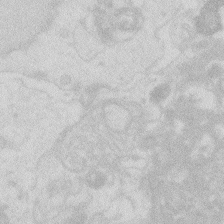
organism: Zebrafish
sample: Macrophage